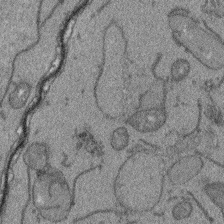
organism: Arabidopsis thaliana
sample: Root tip